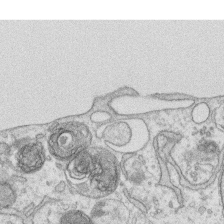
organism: Human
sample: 1205lu cells